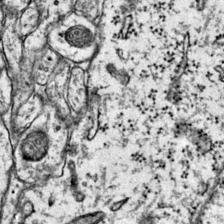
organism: Mouse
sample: Primary visual cortex